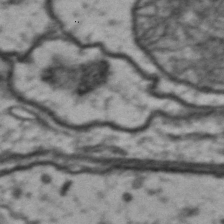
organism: Drosophila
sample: Brain